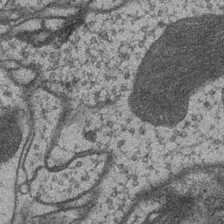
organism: Drosophila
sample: Optic medulla